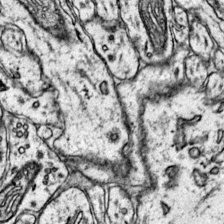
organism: Mouse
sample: Primary visual cortex